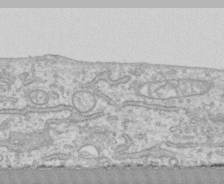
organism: Human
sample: CRL-1474